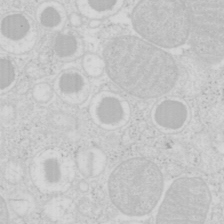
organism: Mouse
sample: Pancreas